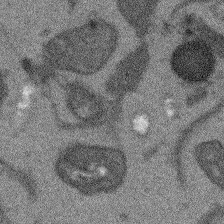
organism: Arabidopsis thaliana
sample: Root tip